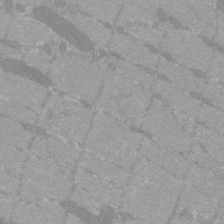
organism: C57BL Mouse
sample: Tibialis anterior muscle cell